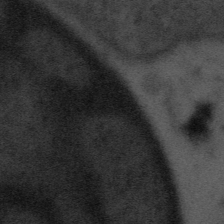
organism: Tuwongella immobilis